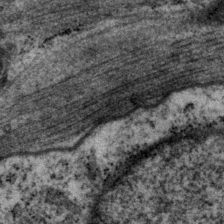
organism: P. pacificus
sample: Pharynx